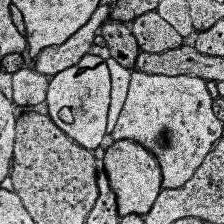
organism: Human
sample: Temporal Lobe